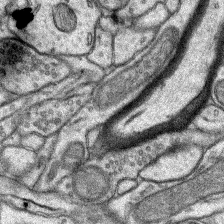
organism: Rat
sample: Hippocampus